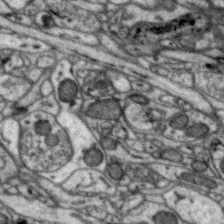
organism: Zebra finch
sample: Brain